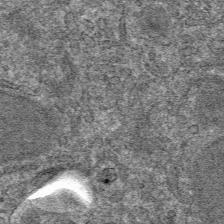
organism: Mouse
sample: Mouse hepatocytes